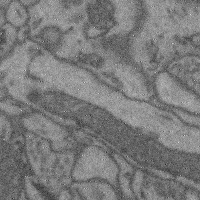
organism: Mouse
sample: Cerebral cortex